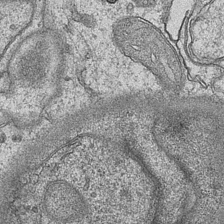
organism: Mouse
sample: CA1 Hippocampus